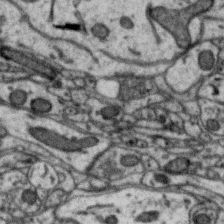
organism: Zebra finch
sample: Brain